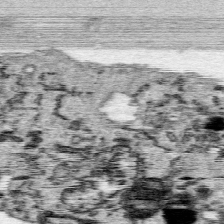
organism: Human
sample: HeLa cells